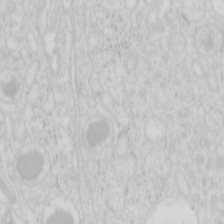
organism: Mouse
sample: Pancreas